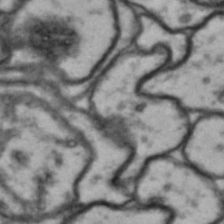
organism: Drosophila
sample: Brain